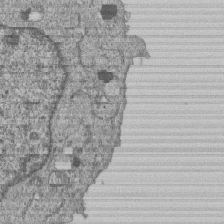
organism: Human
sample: MDA-MB-231 cells